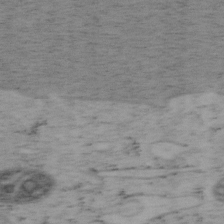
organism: Mouse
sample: OT-I killer T cells with ID8 ovarian cancer cells